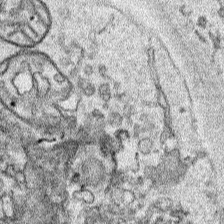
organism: Human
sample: Mitochondria in HCT116 cells